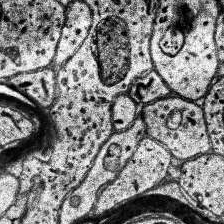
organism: Human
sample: Temporal Lobe